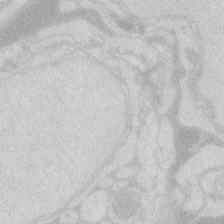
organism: Zebrafish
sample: Macrophage